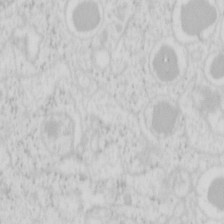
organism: Mouse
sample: Pancreas